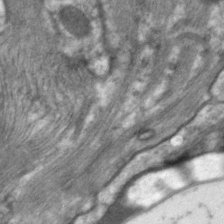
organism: C. elegans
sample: Pharynx